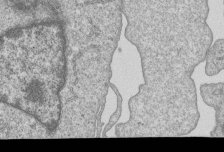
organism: Human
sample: MDA-MB-231 cells